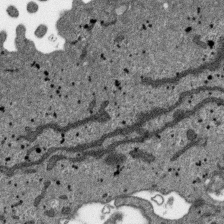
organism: Human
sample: Lung epithelial cells, uninfected (mock) control